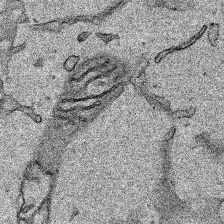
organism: Human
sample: Mitochondria in HCT116 cells